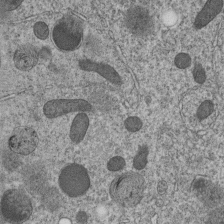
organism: C. elegans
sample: C. elegans embryo early stage